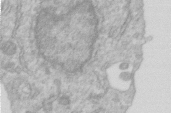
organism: Human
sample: Centriole in RPE cells